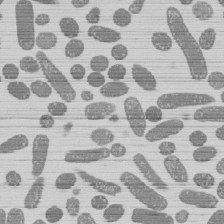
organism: E. coli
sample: Bacterial nucleoid